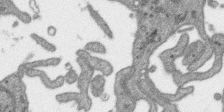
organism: Human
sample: Lung epithelial cells infected with SARS-CoV-2